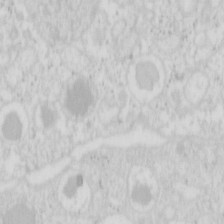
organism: Mouse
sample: Pancreas